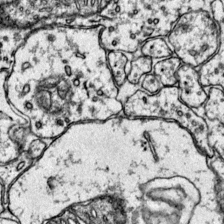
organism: Mouse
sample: Primary visual cortex